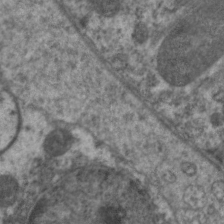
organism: C. elegans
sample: Pharynx